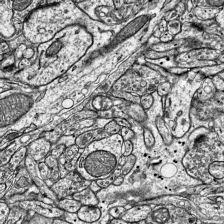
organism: Mouse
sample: Visual Cortex